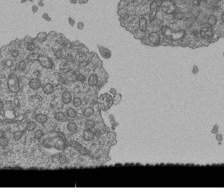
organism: Human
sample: Retinal organoid Rod and Cone cells